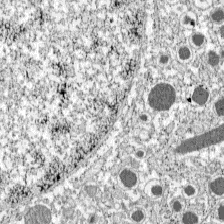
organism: C57BL Mouse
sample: Pancreatic islet